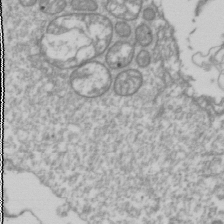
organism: Drosophila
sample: Cell division; meiosis; drosophila spermatocytes